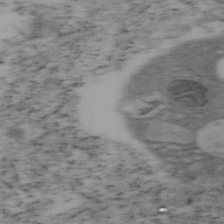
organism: Mouse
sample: OT-I killer T cells with ID8 ovarian cancer cells